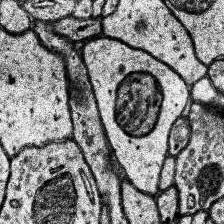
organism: Human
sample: Temporal Lobe